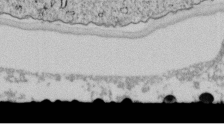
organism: C. elegans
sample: C. elegans embryo early stage